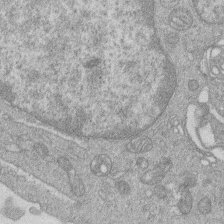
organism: Human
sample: Macrophage cells